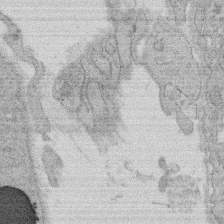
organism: Rat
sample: Salivary granule